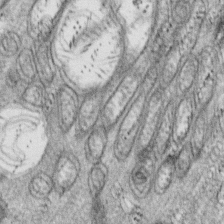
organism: Drosophila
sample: Cell division; meiosis; drosophila spermatocytes